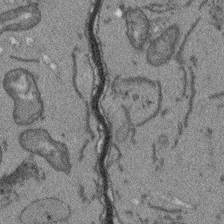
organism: Arabidopsis thaliana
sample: Root tip